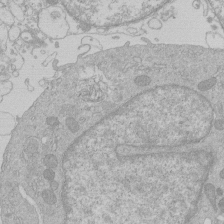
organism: Human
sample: Macrophage cells